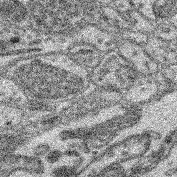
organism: Mouse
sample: Retina